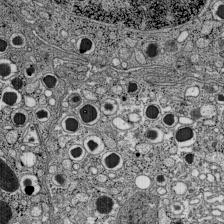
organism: C57BL Mouse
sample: Pancreatic islet